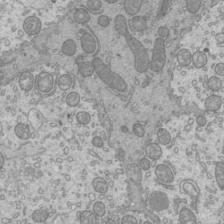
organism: Mouse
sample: Cilia; mouse epididymis